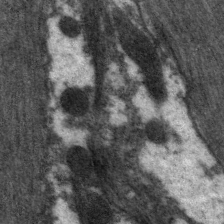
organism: C. elegans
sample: Pharynx